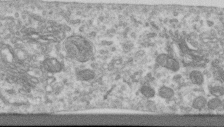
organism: Human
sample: Centriole in RPE cells